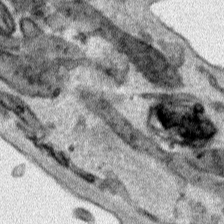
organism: Human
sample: Mitochondria in HCT116 cells